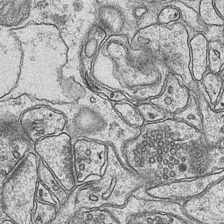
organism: Mouse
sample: CA1 Hippocampus